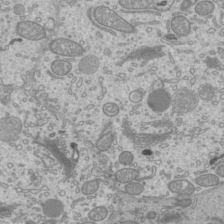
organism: Mouse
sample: Cilia; mouse epididymis